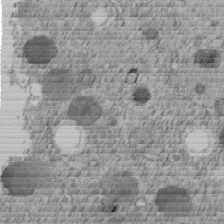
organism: C. elegans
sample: C. elegans embryo early stage